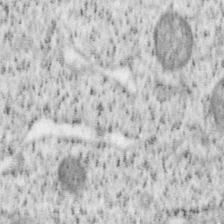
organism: Mouse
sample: OT-I killer T cells with ID8 ovarian cancer cells